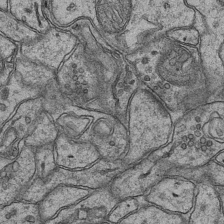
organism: Mouse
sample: CA1 Hippocampus